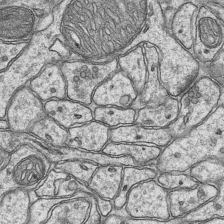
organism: Mouse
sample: CA1 Hippocampus